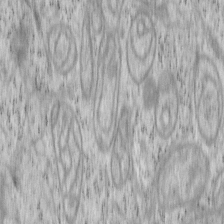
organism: Human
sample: HeLa cells